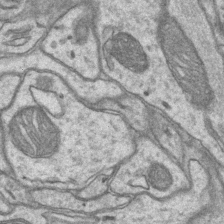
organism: Mouse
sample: CA1 Hippocampus